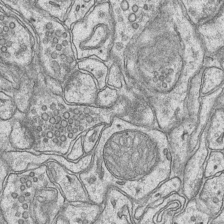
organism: Mouse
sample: CA1 Hippocampus